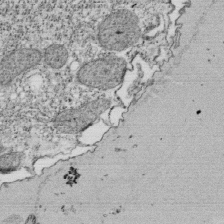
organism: Tetrahymena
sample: Cilia in tetrahymena